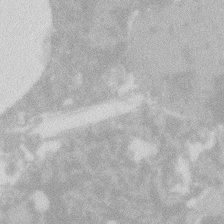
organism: Zebrafish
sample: Macrophage